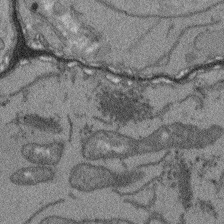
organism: Arabidopsis thaliana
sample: Root tip